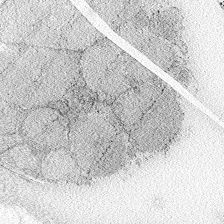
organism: Zebrafish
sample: Whole-Brain